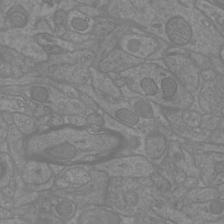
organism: Mouse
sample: Cortical neurons